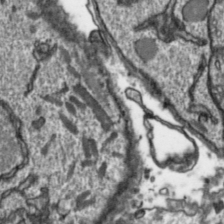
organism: Toxoplasma gondii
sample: Parasites in a vacuole inside a host cell